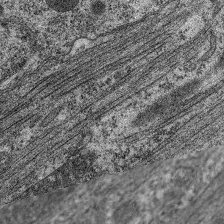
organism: C. elegans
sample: Pharynx